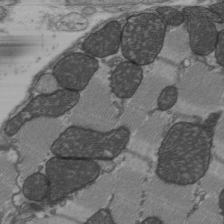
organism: C57BL Mouse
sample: Heart